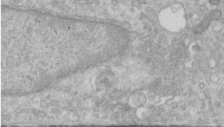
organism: Human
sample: Centriole in RPE cells